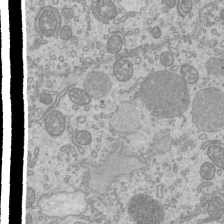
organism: Mouse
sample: Cilia; mouse epididymis